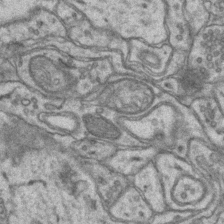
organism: Mouse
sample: CA1 Hippocampus